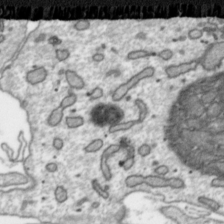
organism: Toxoplasma gondii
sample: Parasites in a vacuole inside a host cell